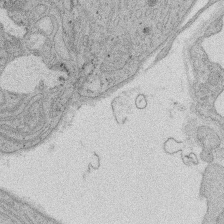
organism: Rat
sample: Salivary granule